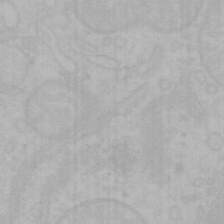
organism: Mouse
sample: Choroid plexus